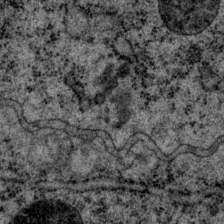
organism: P. pacificus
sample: Pharynx